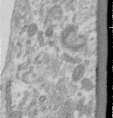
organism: Human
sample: Centriole in RPE cells